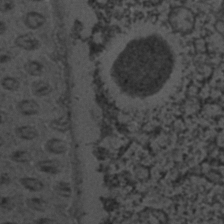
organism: C. elegans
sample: C. elegans embryo